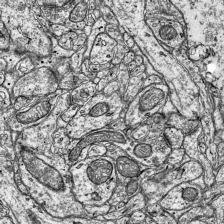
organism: Mouse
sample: Visual Cortex